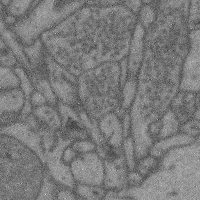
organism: Mouse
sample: Cerebral cortex